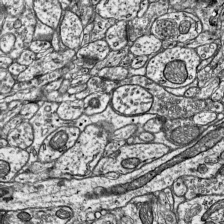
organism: Mouse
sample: Visual Cortex